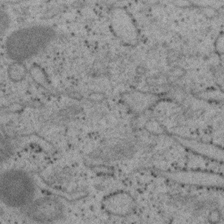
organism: Human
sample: HeLa cells